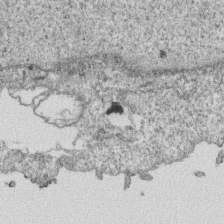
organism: Human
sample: HeLa cell HIV synapse